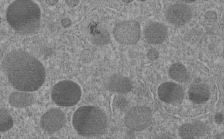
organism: C. elegans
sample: C. elegans embryo early stage